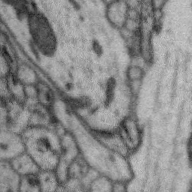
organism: Zebra finch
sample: Brain